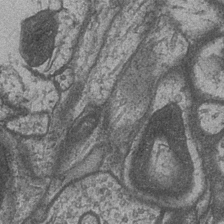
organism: Drosophila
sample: Optic medulla